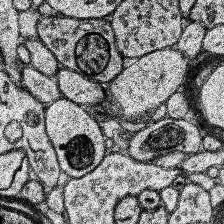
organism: Human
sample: Temporal Lobe